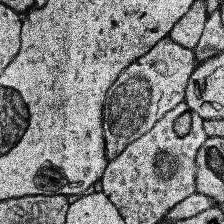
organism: Human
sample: Temporal Lobe